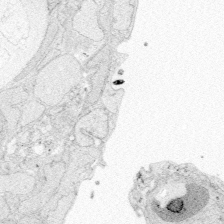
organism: Zebrafish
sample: Whole-Brain